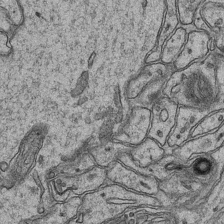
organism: Mouse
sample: CA1 Hippocampus